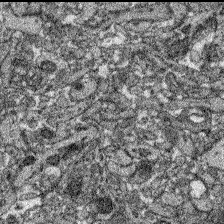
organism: Zebrafish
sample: Larval olfactory bulb